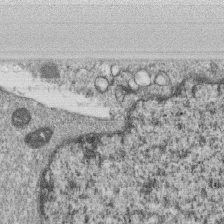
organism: African green monkey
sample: Vero E6 cells infected with SARS-CoV-2